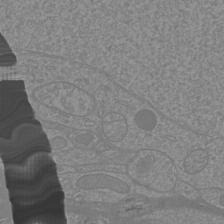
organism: Mouse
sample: Cortical neurons